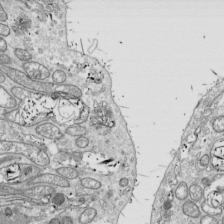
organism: Drosophila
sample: Cell division; meiosis; drosophila spermatocytes